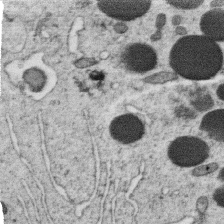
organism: C. elegans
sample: C. elegans oocyte; sperm cells